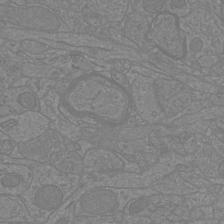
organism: Mouse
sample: Cortical neurons